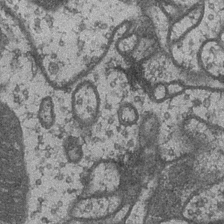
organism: Drosophila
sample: Optic medulla